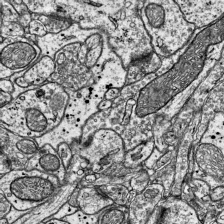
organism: Mouse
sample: Visual Cortex